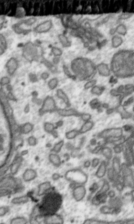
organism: Toxoplasma gondii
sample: Parasites in a vacuole inside a host cell